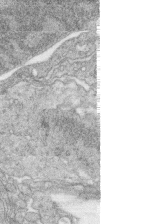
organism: Zebrafish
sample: synaptic ribbons in rod cells and cone cells